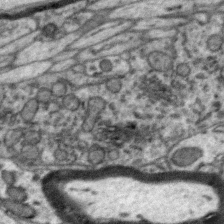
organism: Zebra finch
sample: Brain